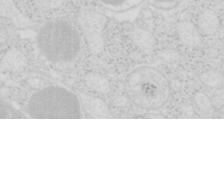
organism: Mouse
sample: Pancreas